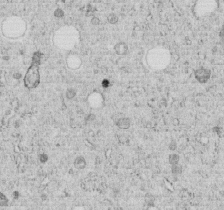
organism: C. elegans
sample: C. elegans embryo early stage